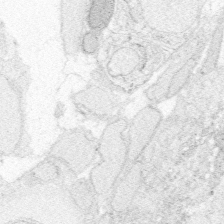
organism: Zebrafish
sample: Whole-Brain